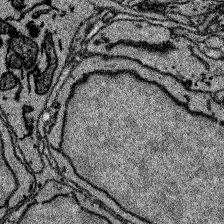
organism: Zebrafish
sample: Larval olfactory bulb